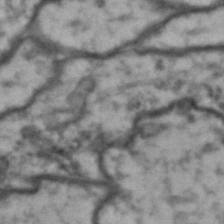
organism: Drosophila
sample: Brain